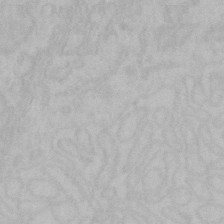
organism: Mouse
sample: Choroid plexus